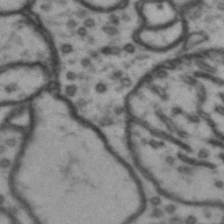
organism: Drosophila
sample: Brain